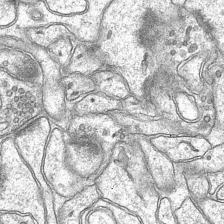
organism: Mouse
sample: CA1 Hippocampus